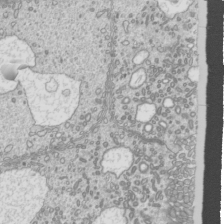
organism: Mouse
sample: Cilia; mouse epididymis